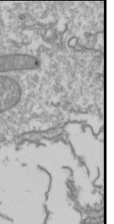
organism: Drosophila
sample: Cell division; meiosis; drosophila spermatocytes